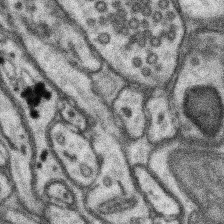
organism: Mouse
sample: Somatosensory cortex neuropil